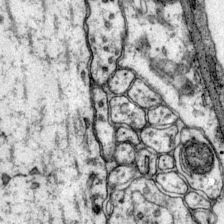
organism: Mouse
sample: Primary visual cortex